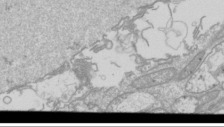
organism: Drosophila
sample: Cell division; meiosis; drosophila spermatocytes